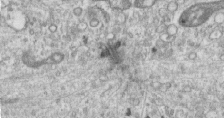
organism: Human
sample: Centriole in RPE cells